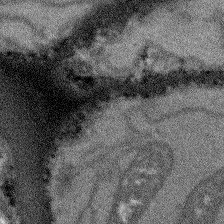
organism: Arabidopsis thaliana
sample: Root tip